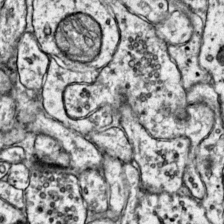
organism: Mouse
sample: Primary visual cortex